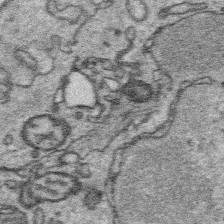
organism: Platynereis dumerilii